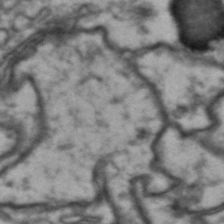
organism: Drosophila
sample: Brain